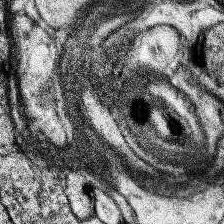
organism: Human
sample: Temporal Lobe